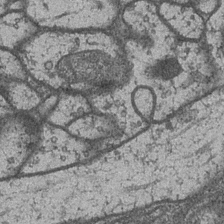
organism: Drosophila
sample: Optic medulla